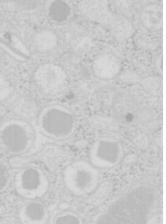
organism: Mouse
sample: Pancreas